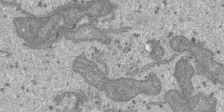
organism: Human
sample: Lung epithelial cells infected with SARS-CoV-2